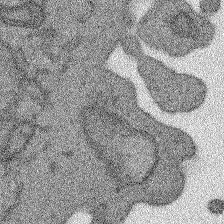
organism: Human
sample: HeLa cells